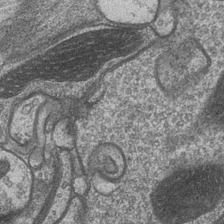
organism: Drosophila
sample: Optic medulla